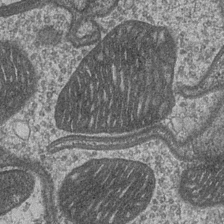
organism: Drosophila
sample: Optic medulla